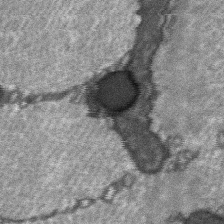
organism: C57BL Mouse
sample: Soleus